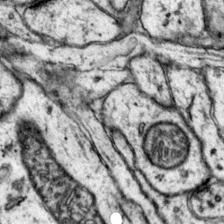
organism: Mouse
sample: Primary visual cortex